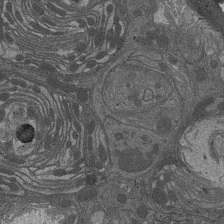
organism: Drosophila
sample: Antenna